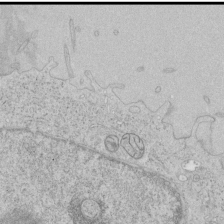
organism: Human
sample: Mitochondria in HCT116 cells